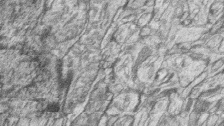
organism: Zebrafish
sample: synaptic ribbons in rod cells and cone cells